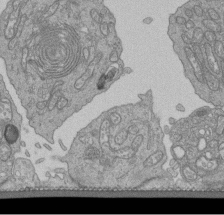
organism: Human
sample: Retinal organoid Rod and Cone cells